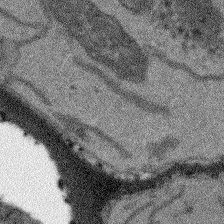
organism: Arabidopsis thaliana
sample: Root tip